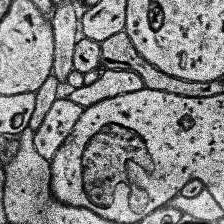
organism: Human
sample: Temporal Lobe